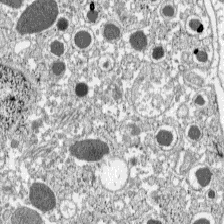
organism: C57BL Mouse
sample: Pancreatic islet